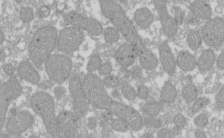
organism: Xenopus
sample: Cilia; centrioles in frog embryo cells